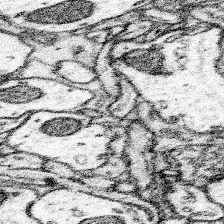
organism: Mouse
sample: Somatosensory cortex neuropil